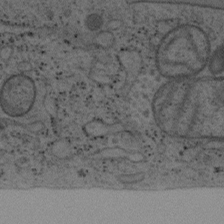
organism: Human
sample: HeLa cells